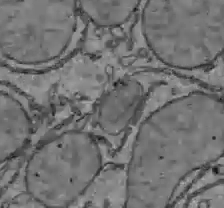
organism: C57BL Mouse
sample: Liver